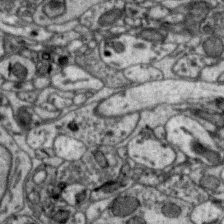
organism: Zebra finch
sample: Brain